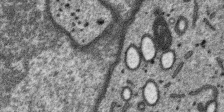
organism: Human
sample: Lung epithelial cells infected with SARS-CoV-2